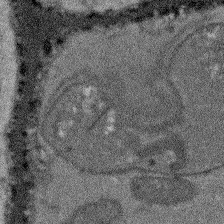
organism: Arabidopsis thaliana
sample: Root tip